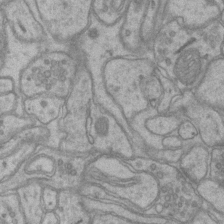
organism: Mouse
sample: CA1 Hippocampus